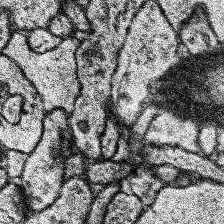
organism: Human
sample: Temporal Lobe